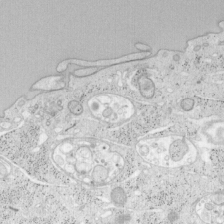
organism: Mouse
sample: OT-I killer T cells with ID8 ovarian cancer cells